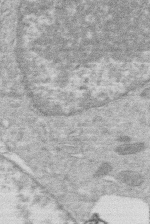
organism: Human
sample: Macrophage cells